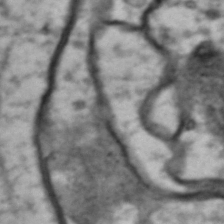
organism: Drosophila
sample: Brain